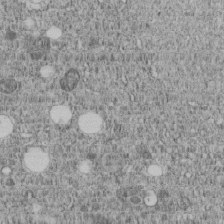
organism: C. elegans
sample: C. elegans embryo early stage